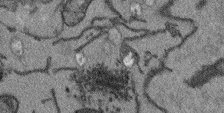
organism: Arabidopsis thaliana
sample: Root tip